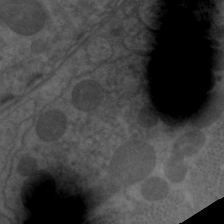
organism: C. elegans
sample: Pharynx